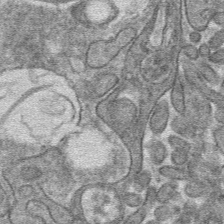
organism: Mouse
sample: Mouse hepatocytes